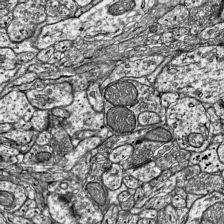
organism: Mouse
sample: Visual Cortex